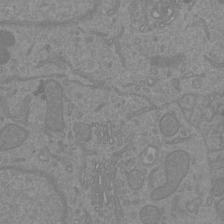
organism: Mouse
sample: Cortical neurons